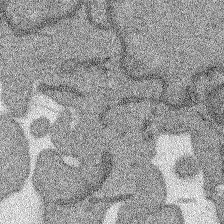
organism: Human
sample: HeLa cells